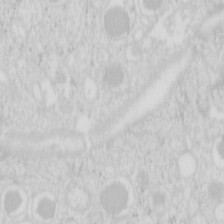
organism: Mouse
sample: Pancreas